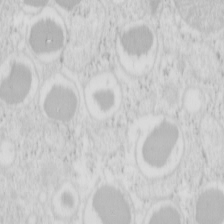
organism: Mouse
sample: Pancreas